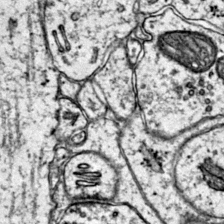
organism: Mouse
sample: Primary visual cortex